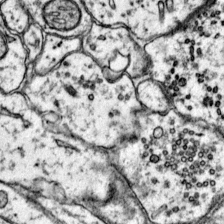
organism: Mouse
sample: Primary visual cortex